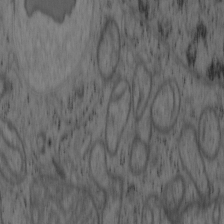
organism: Human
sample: HeLa cells